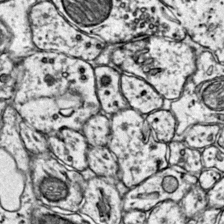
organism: Mouse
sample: Primary visual cortex